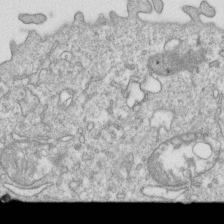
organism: Mouse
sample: Activated OT-1 CD8+ T cells